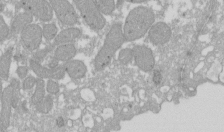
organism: Xenopus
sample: Cilia; centrioles in frog embryo cells